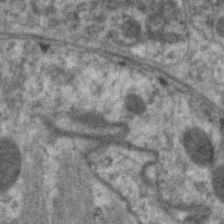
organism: C. elegans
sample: Pharynx